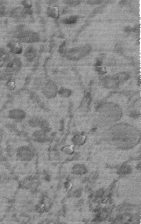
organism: C. elegans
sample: C. elegans embryo early stage